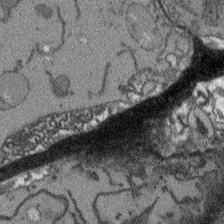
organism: Arabidopsis thaliana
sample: Root tip